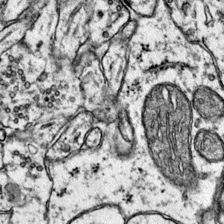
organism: Mouse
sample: Primary visual cortex